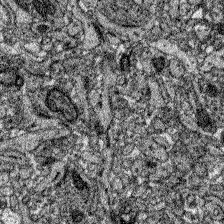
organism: Zebrafish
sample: Larval olfactory bulb